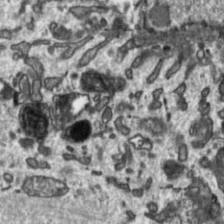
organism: Toxoplasma gondii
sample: Parasites in a vacuole inside a host cell